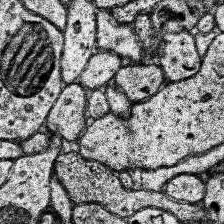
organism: Human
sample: Temporal Lobe